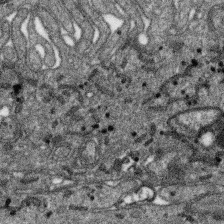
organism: Human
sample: Lung epithelial cells infected with SARS-CoV-2